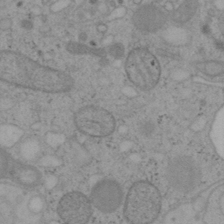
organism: Mouse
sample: OT-I killer T cells with ID8 ovarian cancer cells